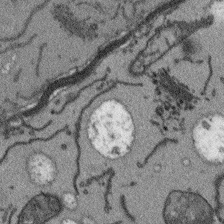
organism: Arabidopsis thaliana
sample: Root tip